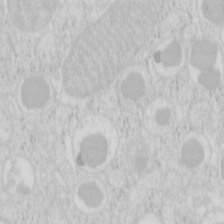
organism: Mouse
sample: Pancreas